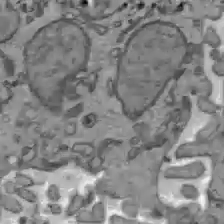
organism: C57BL Mouse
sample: Liver